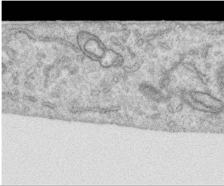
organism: Human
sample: Centriole in RPE cells